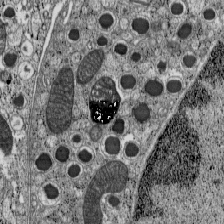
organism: C57BL Mouse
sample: Pancreatic islet